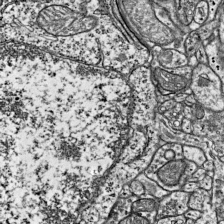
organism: Mouse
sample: Visual Cortex